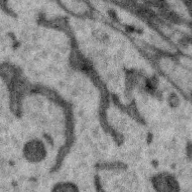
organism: Zebra finch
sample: Brain